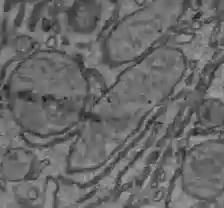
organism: C57BL Mouse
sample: Liver